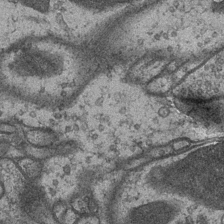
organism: Drosophila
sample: Optic medulla